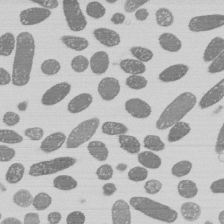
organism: E. coli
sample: Bacterial nucleoid